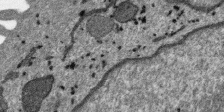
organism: Human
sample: Lung epithelial cells, uninfected (mock) control